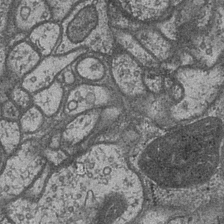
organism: Drosophila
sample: Optic medulla